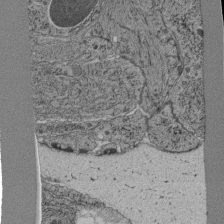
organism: C. elegans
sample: C. elegans pharynx